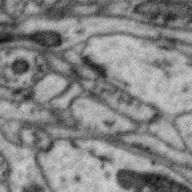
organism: Zebra finch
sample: Brain